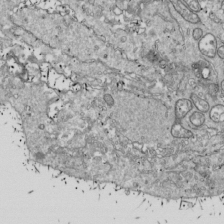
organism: Drosophila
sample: Cell division; meiosis; drosophila spermatocytes